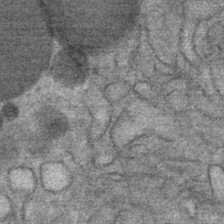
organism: Mouse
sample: Mouse Salivary gland